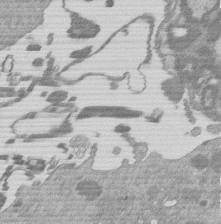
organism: Mouse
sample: Dividing mouse embryo 1 cell stage